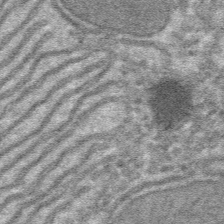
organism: Mouse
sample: Mouse hepatocytes